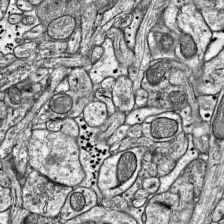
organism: Mouse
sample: Visual Cortex